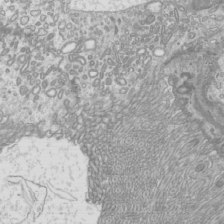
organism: Mouse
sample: Cilia; mouse epididymis